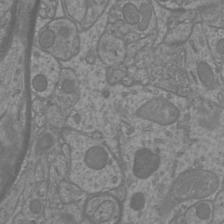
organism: Mouse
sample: Cortical neurons